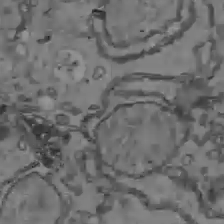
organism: C57BL Mouse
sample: Liver